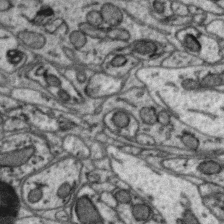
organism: Zebra finch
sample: Brain